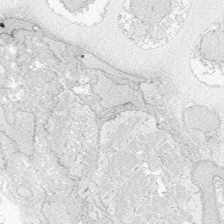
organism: Zebrafish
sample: Whole-Brain